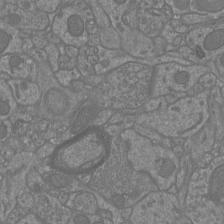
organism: Mouse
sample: Cortical neurons